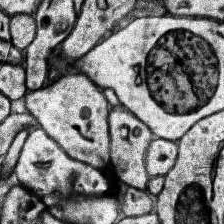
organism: Human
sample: Temporal Lobe